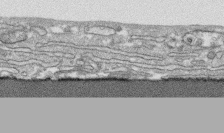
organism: Human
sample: CRL-1474